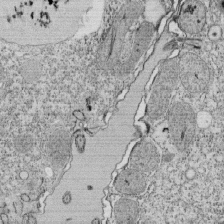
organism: Tetrahymena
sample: Cilia in tetrahymena